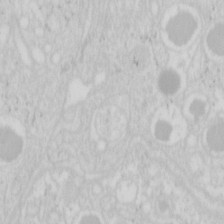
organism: Mouse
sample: Pancreas